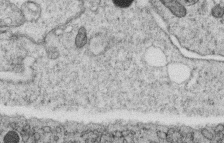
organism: C. elegans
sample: C. elegans oocyte; sperm cells